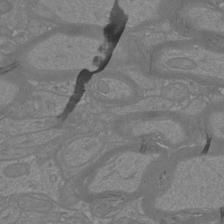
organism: Mouse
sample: Cortical neurons